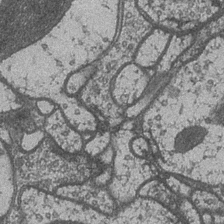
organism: Drosophila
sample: Optic medulla